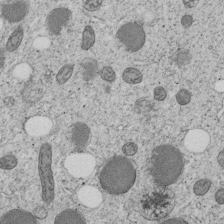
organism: C. elegans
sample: C. elegans embryo early stage